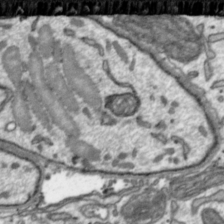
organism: Toxoplasma gondii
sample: Parasites in a vacuole inside a host cell